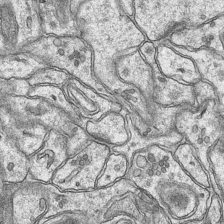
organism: Mouse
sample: CA1 Hippocampus